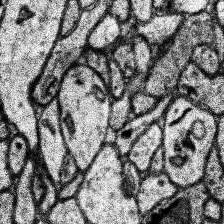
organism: Human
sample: Temporal Lobe